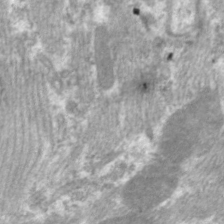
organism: C. elegans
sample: Pharynx